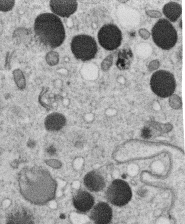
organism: C. elegans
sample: C. elegans oocyte; sperm cells